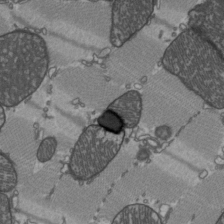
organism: C57BL Mouse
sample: Heart